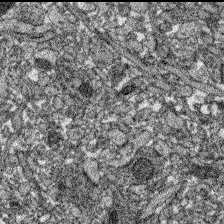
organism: Zebrafish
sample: Larval olfactory bulb